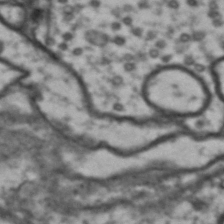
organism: Drosophila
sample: Brain